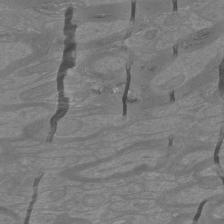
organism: Mouse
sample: Cortical neurons